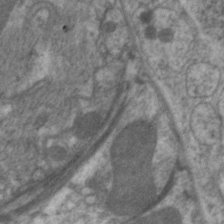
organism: C. elegans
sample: Pharynx